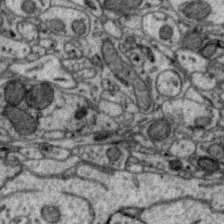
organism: Zebra finch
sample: Brain